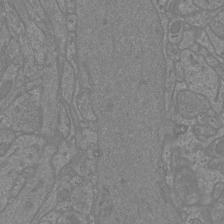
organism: Mouse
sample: Cortical neurons